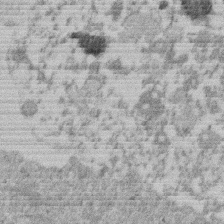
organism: Mouse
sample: Dividing mouse embryo 1 cell stage